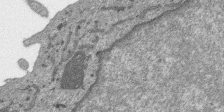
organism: Human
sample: Lung epithelial cells infected with SARS-CoV-2